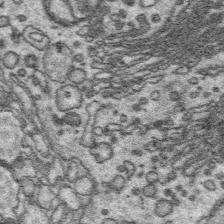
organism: Platynereis dumerilii